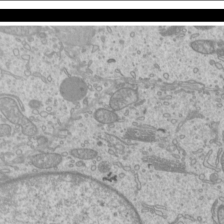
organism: Mouse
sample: Cilia; mouse epididymis